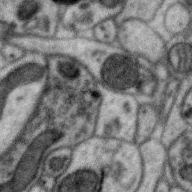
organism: Zebra finch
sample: Brain